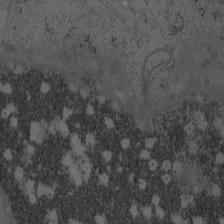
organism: Mouse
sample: OT-I killer T cells with ID8 ovarian cancer cells